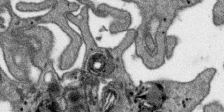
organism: Human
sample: Lung epithelial cells, uninfected (mock) control